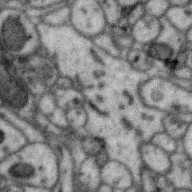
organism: Zebra finch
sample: Brain